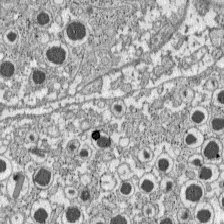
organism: C57BL Mouse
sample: Pancreatic islet